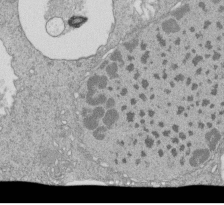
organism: Tetrahymena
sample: Cilia in tetrahymena